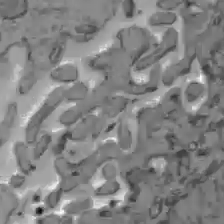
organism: C57BL Mouse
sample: Liver